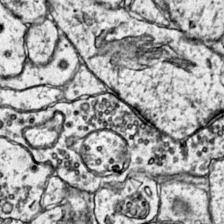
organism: Mouse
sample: Primary visual cortex